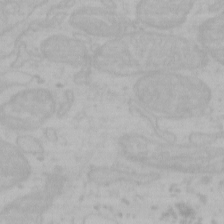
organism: Mouse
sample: Choroid plexus